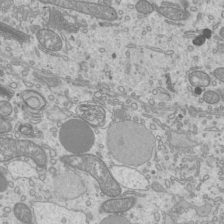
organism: Mouse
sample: Cilia; mouse epididymis